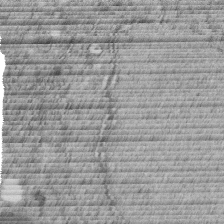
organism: C. elegans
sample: C. elegans embryo early stage